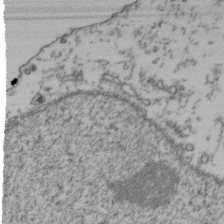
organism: Human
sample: Activated Jurkat CD4+ T cells